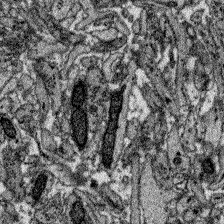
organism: Zebrafish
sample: Larval olfactory bulb